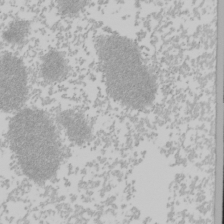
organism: Mouse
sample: Cancer cell death in ED-1 cells